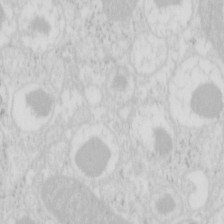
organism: Mouse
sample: Pancreas